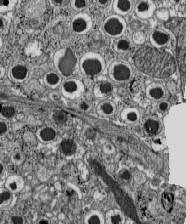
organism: C57BL Mouse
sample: Pancreatic islet